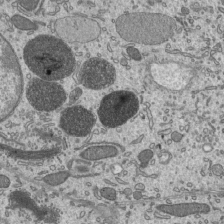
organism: Mouse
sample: Mouse epididymis efferent ductule cilia